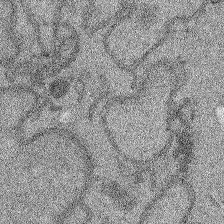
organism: Human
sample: HeLa cells